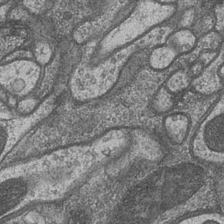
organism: Drosophila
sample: Optic medulla